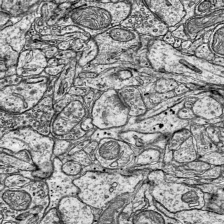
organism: Mouse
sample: Visual Cortex